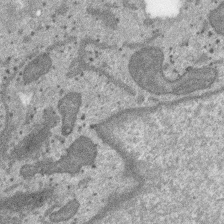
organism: Human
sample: Lung epithelial cells infected with SARS-CoV-2